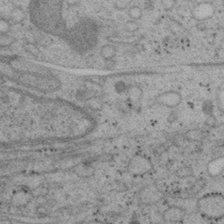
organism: Human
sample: HeLa cells